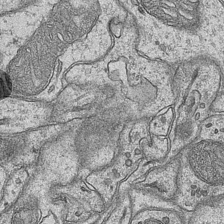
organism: Mouse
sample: CA1 Hippocampus